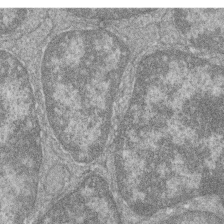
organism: Zebrafish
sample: Cilia; retinal pigment epithelium